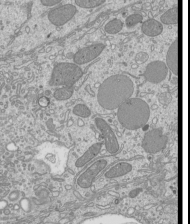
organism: Mouse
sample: Cilia; mouse epididymis